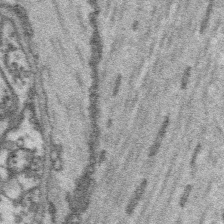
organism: Platynereis dumerilii